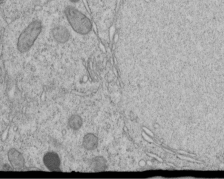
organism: C. elegans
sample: C. elegans embryo early stage